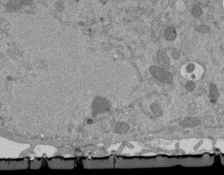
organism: Mouse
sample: ED-1 cell nuclei; centrioles